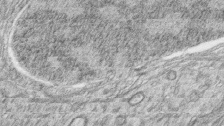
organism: Zebrafish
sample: synaptic ribbons in rod cells and cone cells